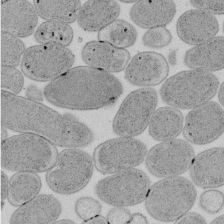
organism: E. coli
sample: Bacterial nucleoid